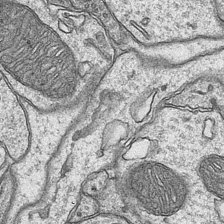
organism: Mouse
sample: CA1 Hippocampus